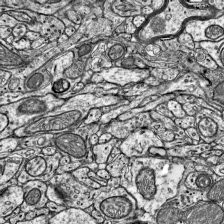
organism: Mouse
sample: Visual Cortex